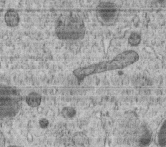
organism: C. elegans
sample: C. elegans embryo early stage